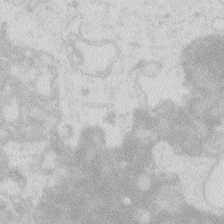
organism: Zebrafish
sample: Macrophage